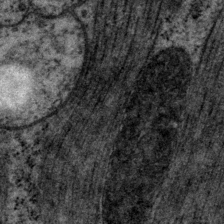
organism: P. pacificus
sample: Pharynx